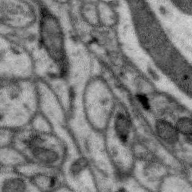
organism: Zebra finch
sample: Brain